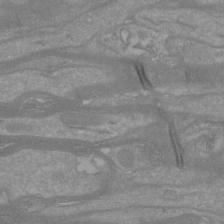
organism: Mouse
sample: Cortical neurons